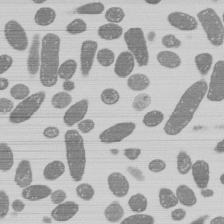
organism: E. coli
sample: Bacterial nucleoid